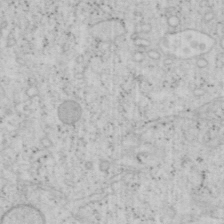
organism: Human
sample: HeLa cells